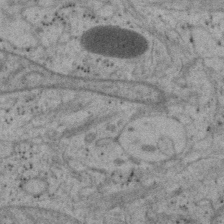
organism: Human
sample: HeLa cells